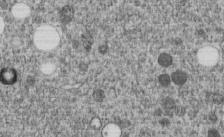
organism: C. elegans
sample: C. elegans embryo early stage